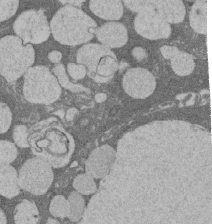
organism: Rat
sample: Salivary granule